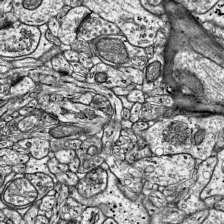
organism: Mouse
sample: Visual Cortex